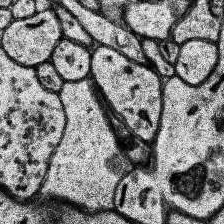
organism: Human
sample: Temporal Lobe